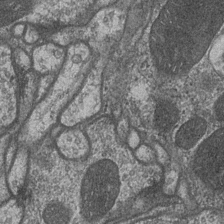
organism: Drosophila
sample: Optic medulla